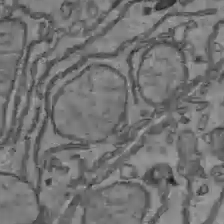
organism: C57BL Mouse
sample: Liver